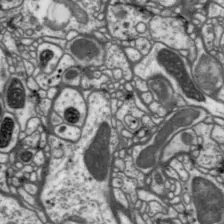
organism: Drosophila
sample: Protocerebral bridge